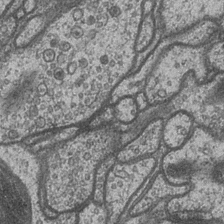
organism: Drosophila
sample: Optic medulla